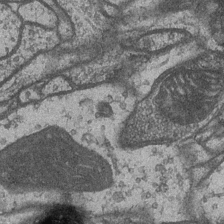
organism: Drosophila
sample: Optic medulla